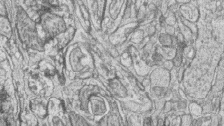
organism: Zebrafish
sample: synaptic ribbons in rod cells and cone cells